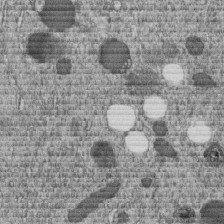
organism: C. elegans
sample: C. elegans embryo early stage